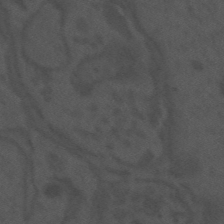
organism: Mouse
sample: Suprachiasmatic nucleus